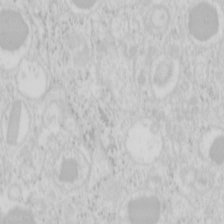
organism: Mouse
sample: Pancreas